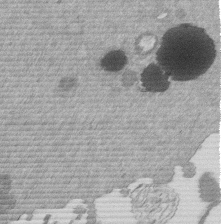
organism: Mouse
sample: Dividing mouse embryo 1 cell stage